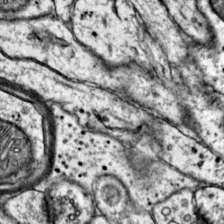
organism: Mouse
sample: Primary visual cortex